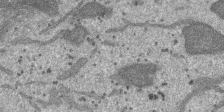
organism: Human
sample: Lung epithelial cells infected with SARS-CoV-2